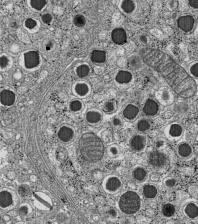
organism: C57BL Mouse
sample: Pancreatic islet